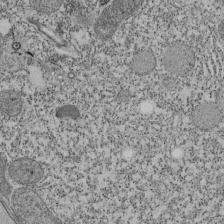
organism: Tetrahymena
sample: Cilia in tetrahymena